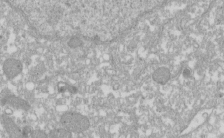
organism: Xenopus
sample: Cilia; centrioles in frog embryo cells